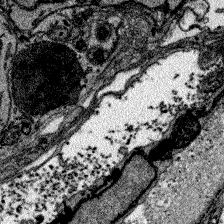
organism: Zebrafish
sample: Larval olfactory bulb